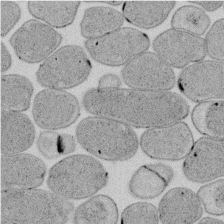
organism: E. coli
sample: Bacterial nucleoid